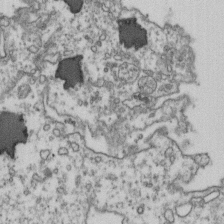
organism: Human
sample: Activated Jurkat CD4+ T cells